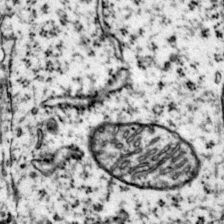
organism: Mouse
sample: Primary visual cortex